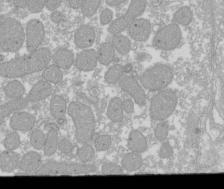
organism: Xenopus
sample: Cilia; centrioles in frog embryo cells